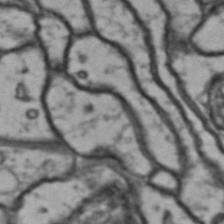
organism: Drosophila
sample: Brain